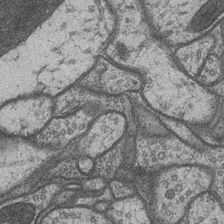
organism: Drosophila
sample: Optic medulla